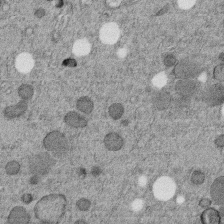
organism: C. elegans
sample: C. elegans embryo early stage